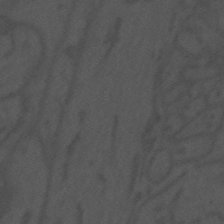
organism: Mouse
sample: Suprachiasmatic nucleus